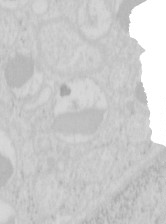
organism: Mouse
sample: Pancreas